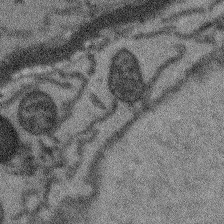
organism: Arabidopsis thaliana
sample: Root tip